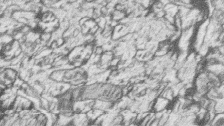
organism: Zebrafish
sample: synaptic ribbons in rod cells and cone cells